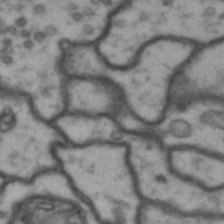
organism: Drosophila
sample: Brain